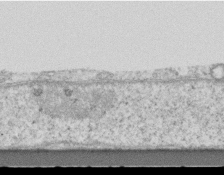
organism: Mouse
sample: Centriole in ependymal cells